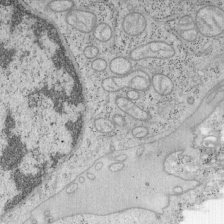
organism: Mouse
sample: OT-I killer T cells with ID8 ovarian cancer cells